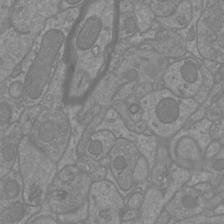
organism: Mouse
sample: Cortical neurons